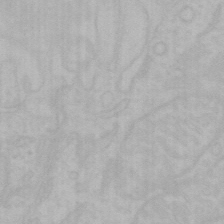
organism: Mouse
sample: Choroid plexus